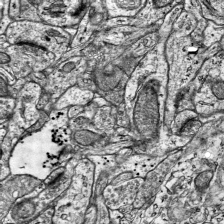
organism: Mouse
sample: Visual Cortex